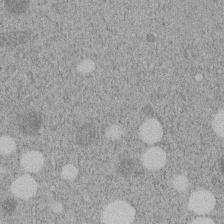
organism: C. elegans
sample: C. elegans embryo early stage